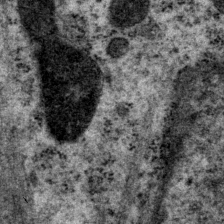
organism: P. pacificus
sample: Pharynx